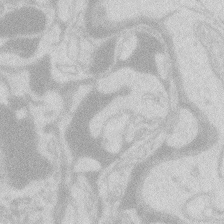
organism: Zebrafish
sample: Macrophage